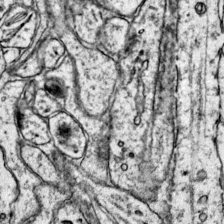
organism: Mouse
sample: Primary visual cortex